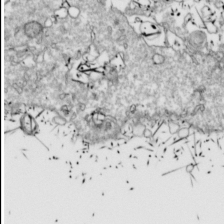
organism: Drosophila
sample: Cell division; meiosis; drosophila spermatocytes